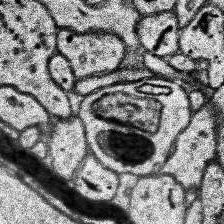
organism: Human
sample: Temporal Lobe